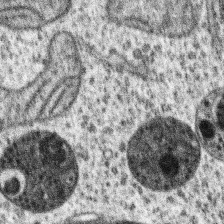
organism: Human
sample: HeLa cells